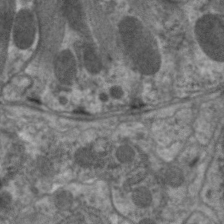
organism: C. elegans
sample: Pharynx